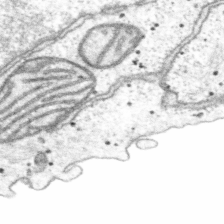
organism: Human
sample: HeLa cells